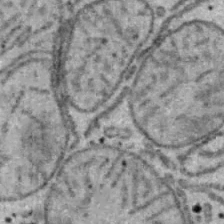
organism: Mouse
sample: Liver from an obese (ob/ob) mouse